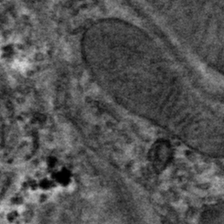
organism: Mouse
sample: Mouse hepatocytes